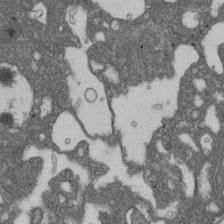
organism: Drosophila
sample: Nephrocyte